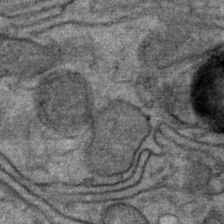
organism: Mouse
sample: Mouse Salivary gland